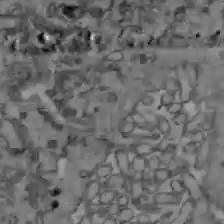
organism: C57BL Mouse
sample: Liver